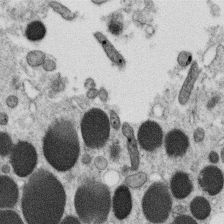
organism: C. elegans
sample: C. elegans oocyte; sperm cells